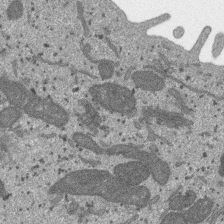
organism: Human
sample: Lung epithelial cells infected with SARS-CoV-2